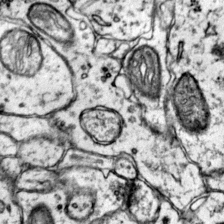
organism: Mouse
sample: Primary visual cortex